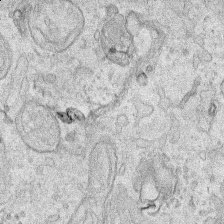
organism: Human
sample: Mitochondria in HCT116 cells